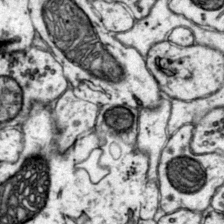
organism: Mouse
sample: Primary visual cortex